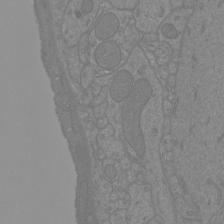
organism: Mouse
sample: Cortical neurons